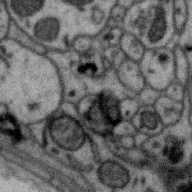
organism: Zebra finch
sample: Brain